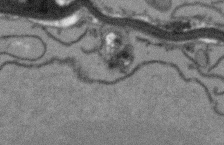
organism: Arabidopsis thaliana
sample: Root tip